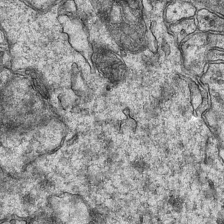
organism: Mouse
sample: CA1 Hippocampus